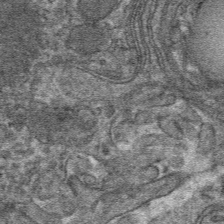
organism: Mouse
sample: Mouse hepatocytes